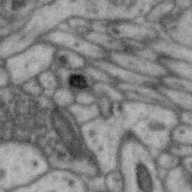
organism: Zebra finch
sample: Brain